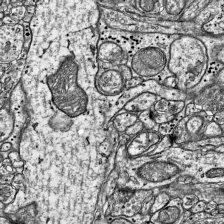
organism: Mouse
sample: Visual Cortex